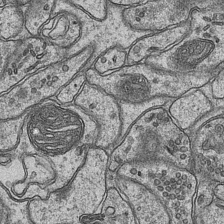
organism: Mouse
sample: CA1 Hippocampus